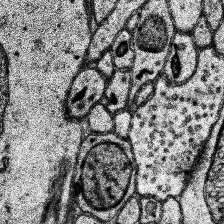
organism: Human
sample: Temporal Lobe